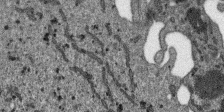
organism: Human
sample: Lung epithelial cells infected with SARS-CoV-2